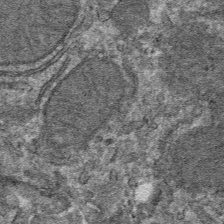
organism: Mouse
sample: Mouse hepatocytes